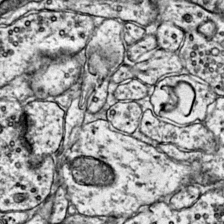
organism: Mouse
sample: Primary visual cortex